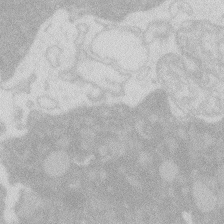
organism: Zebrafish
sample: Macrophage